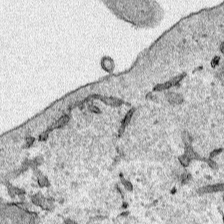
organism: Human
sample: Mitochondria in HCT116 cells